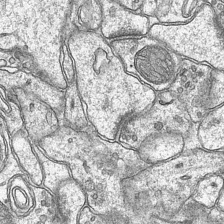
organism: Mouse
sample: CA1 Hippocampus